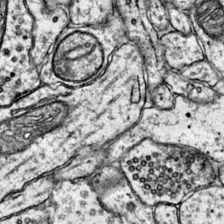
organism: Mouse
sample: Primary visual cortex